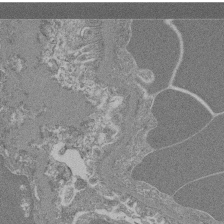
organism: Mouse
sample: Glomerulus